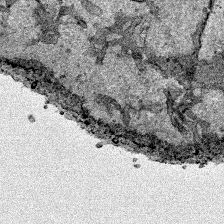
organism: Human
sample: Mitochondria in HCT116 cells